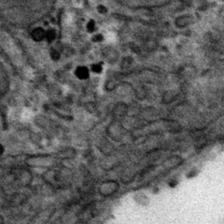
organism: Mouse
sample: Mouse hepatocytes